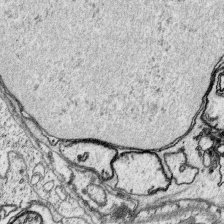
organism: Platynereis dumerilii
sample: Parapodia